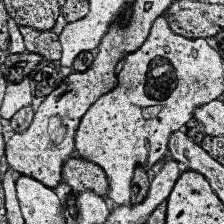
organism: Human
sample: Temporal Lobe